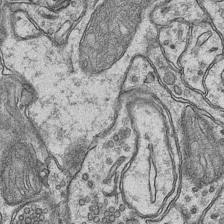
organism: Mouse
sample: CA1 Hippocampus